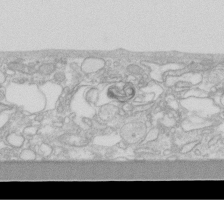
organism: Human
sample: Fibroblast cells